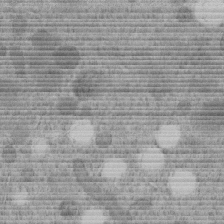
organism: C. elegans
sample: C. elegans embryo early stage